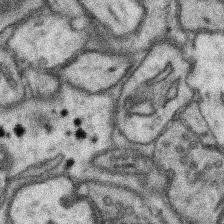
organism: Mouse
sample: Somatosensory cortex neuropil